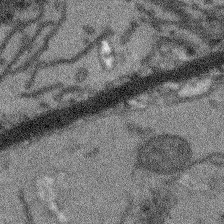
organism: Arabidopsis thaliana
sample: Root tip